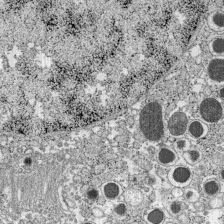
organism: C57BL Mouse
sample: Pancreatic islet